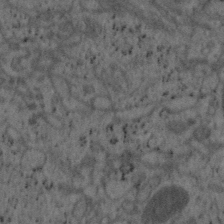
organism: Human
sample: HeLa cells